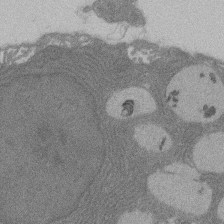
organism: Rat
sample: Salivary granule